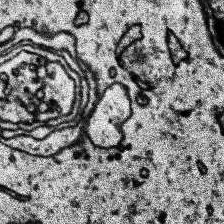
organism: Human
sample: Temporal Lobe